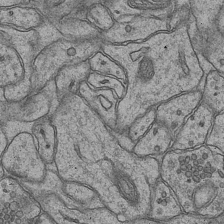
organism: Mouse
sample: CA1 Hippocampus